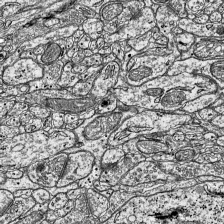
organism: Mouse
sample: Visual Cortex